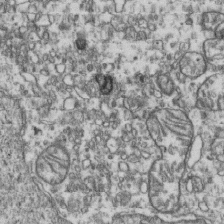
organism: Human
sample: Activated Jurkat CD4+ T cells